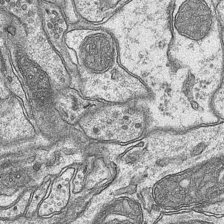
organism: Mouse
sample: CA1 Hippocampus